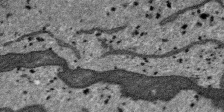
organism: Human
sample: Lung epithelial cells, uninfected (mock) control